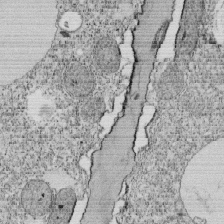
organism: Tetrahymena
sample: Cilia in tetrahymena